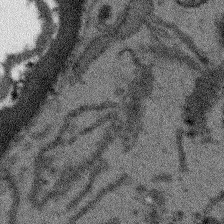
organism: Arabidopsis thaliana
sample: Root tip